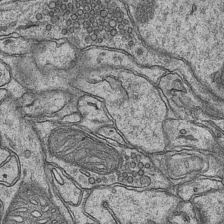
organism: Mouse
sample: CA1 Hippocampus